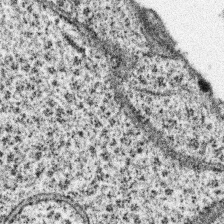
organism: Human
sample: HeLa cells